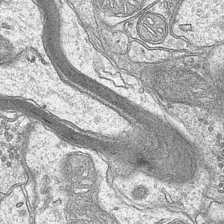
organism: Mouse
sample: CA1 Hippocampus